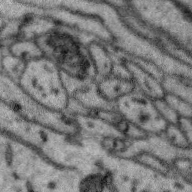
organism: Zebra finch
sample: Brain